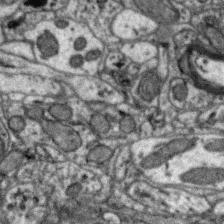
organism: Zebra finch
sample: Brain